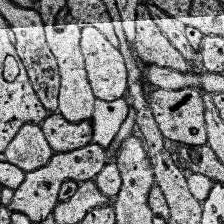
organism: Human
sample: Temporal Lobe